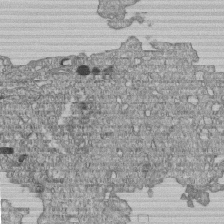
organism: Human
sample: MDA-MB-231 cells